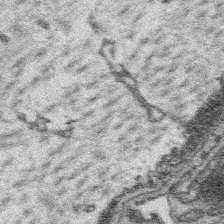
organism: Platynereis dumerilii